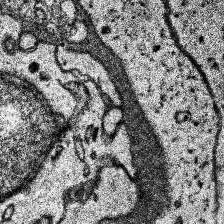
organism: Human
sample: Temporal Lobe